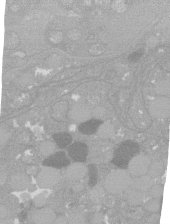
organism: C. elegans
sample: C. elegans oocyte; sperm cells